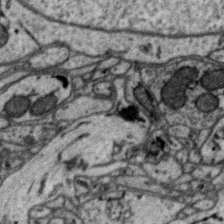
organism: Zebra finch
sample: Brain